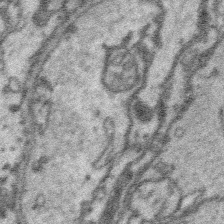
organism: Platynereis dumerilii